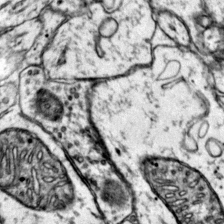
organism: Mouse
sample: Primary visual cortex